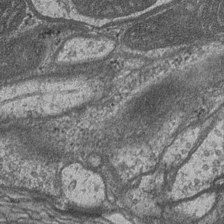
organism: Drosophila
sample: Optic medulla